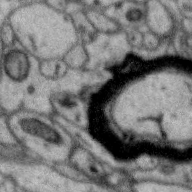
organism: Zebra finch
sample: Brain